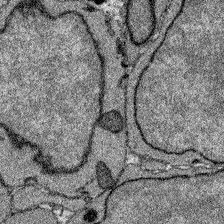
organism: Zebrafish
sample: Larval olfactory bulb